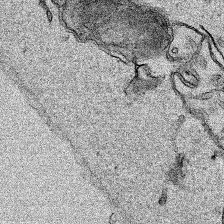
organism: Human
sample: Mitochondria in HCT116 cells